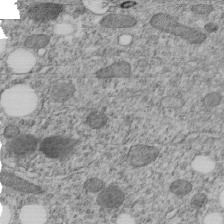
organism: C. elegans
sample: C. elegans embryo early stage